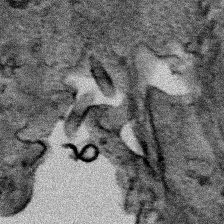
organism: Human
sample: Mitochondria in HCT116 cells